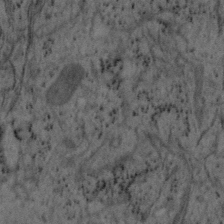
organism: Human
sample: HeLa cells